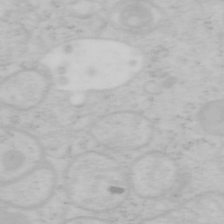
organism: Mouse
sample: OT-I killer T cells with ID8 ovarian cancer cells